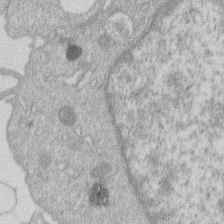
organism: Human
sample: Macrophage cells